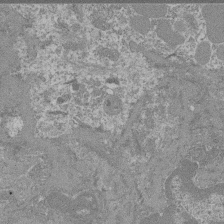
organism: Mouse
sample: Glomerulus